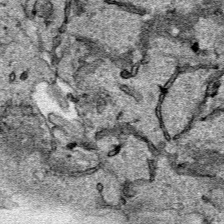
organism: Human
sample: Mitochondria in HCT116 cells